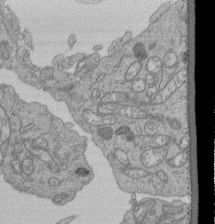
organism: Human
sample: Retinal organoid Rod and Cone cells